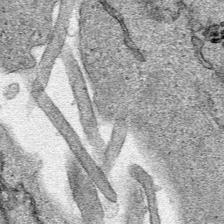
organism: Human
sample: Mitochondria in HCT116 cells